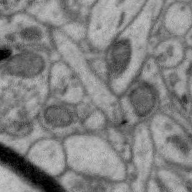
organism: Zebra finch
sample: Brain